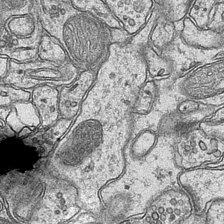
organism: Mouse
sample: CA1 Hippocampus